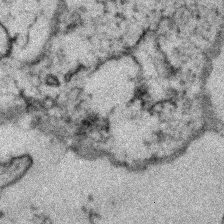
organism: Zebrafish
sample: Zebrafish embryo